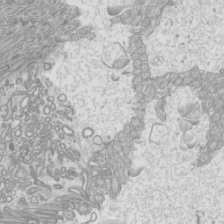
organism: Mouse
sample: Cilia; mouse epididymis